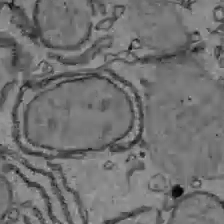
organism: C57BL Mouse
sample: Liver